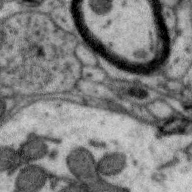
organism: Zebra finch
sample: Brain